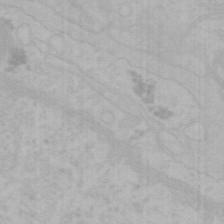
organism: Mouse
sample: Choroid plexus